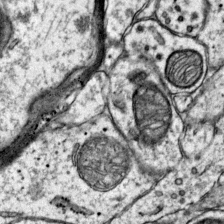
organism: Mouse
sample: Primary visual cortex